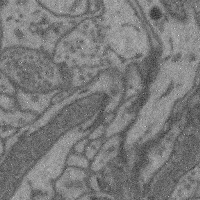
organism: Mouse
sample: Cerebral cortex